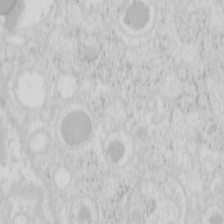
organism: Mouse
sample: Pancreas